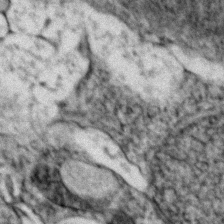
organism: Zebrafish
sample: Zebrafish embryo